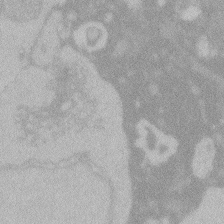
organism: Zebrafish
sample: Macrophage infected with Toxoplasma gondii